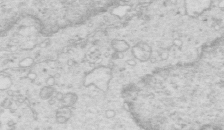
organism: Mouse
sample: Multiciliated cells